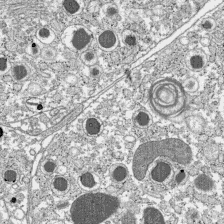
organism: C57BL Mouse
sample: Pancreatic islet